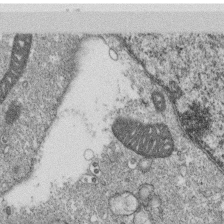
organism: African green monkey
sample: Vero E6 cells infected with SARS-CoV-2